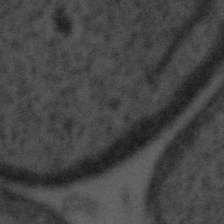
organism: Tuwongella immobilis